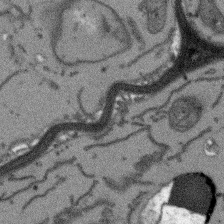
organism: Arabidopsis thaliana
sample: Root tip